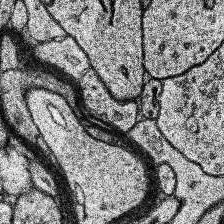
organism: Human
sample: Temporal Lobe